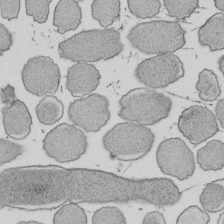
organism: E. coli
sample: Bacterial nucleoid